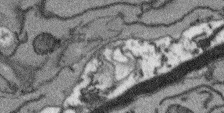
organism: Arabidopsis thaliana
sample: Root tip